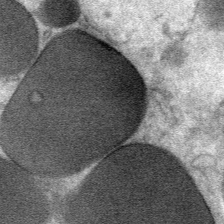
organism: Mouse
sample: Mouse Salivary gland